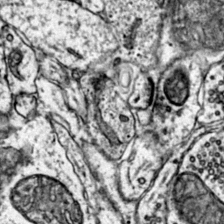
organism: Mouse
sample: Primary visual cortex